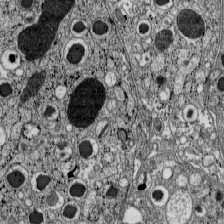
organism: C57BL Mouse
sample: Pancreatic islet